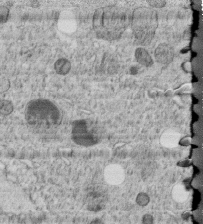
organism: C. elegans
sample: C. elegans embryo early stage